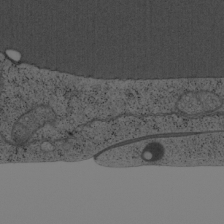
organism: African green monkey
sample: COS-7 cells